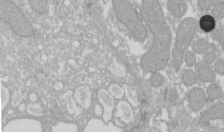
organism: Xenopus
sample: Cilia; centrioles in frog embryo cells